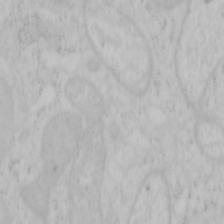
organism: Mouse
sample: OT-I killer T cells with ID8 ovarian cancer cells